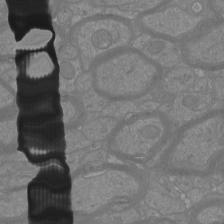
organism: Mouse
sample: Cortical neurons